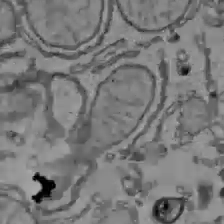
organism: C57BL Mouse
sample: Liver